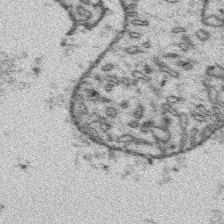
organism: Platynereis dumerilii